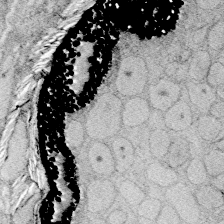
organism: Zebrafish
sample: Whole-Brain